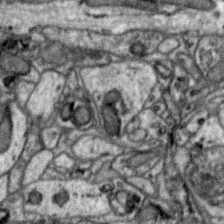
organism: Zebra finch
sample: Brain